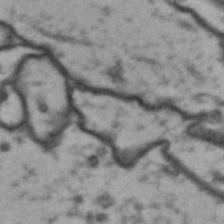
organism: Drosophila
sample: Brain